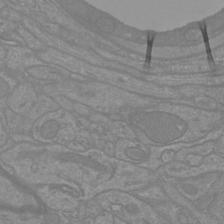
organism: Mouse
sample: Cortical neurons